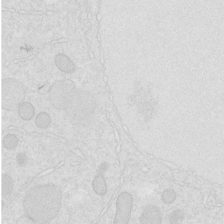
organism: C. elegans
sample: C. elegans embryo early stage